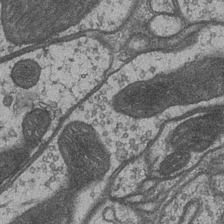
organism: Drosophila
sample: Optic medulla